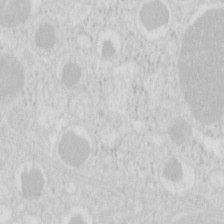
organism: Mouse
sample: Pancreas